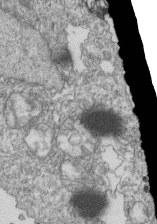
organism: Human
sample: HeLa cell HIV synapse